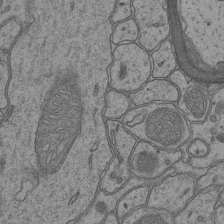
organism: Mouse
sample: CA1 Hippocampus